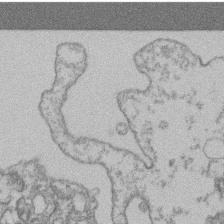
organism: Mouse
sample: T cell stromal cell synapse